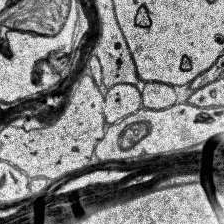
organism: Human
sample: Temporal Lobe